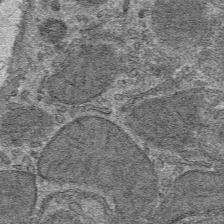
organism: Mouse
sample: Mouse hepatocytes